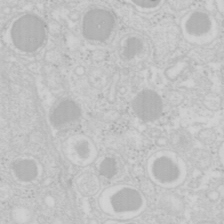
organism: Mouse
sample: Pancreas